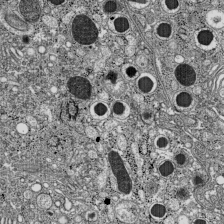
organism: C57BL Mouse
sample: Pancreatic islet